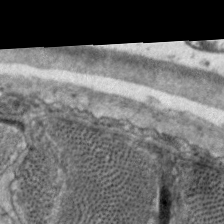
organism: C. elegans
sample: Pharynx